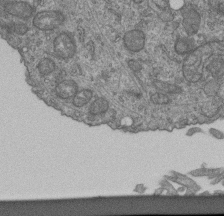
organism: Human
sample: Retinal organoid Rod and Cone cells